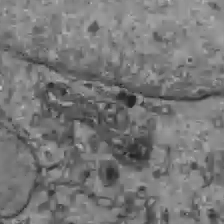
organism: C57BL Mouse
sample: Liver